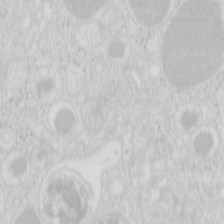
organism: Mouse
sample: Pancreas